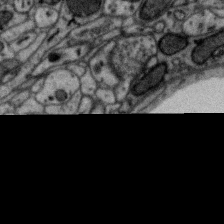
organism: Zebra finch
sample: Brain